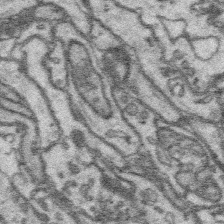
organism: Platynereis dumerilii